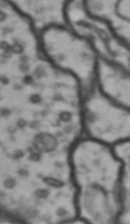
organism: Drosophila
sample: Brain